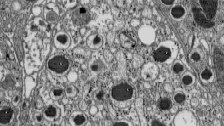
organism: C57BL Mouse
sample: Pancreatic islet